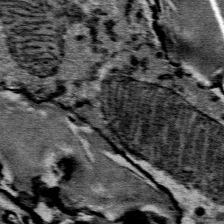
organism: Mouse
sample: Mouse Salivary gland